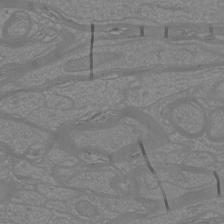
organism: Mouse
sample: Cortical neurons